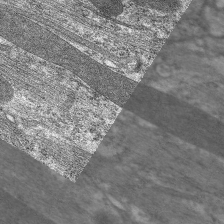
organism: C. elegans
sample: Pharynx